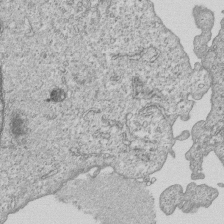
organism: Human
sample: MDA-MB-231 cells